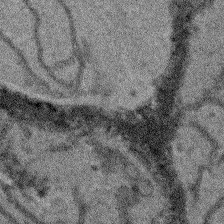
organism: Arabidopsis thaliana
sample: Root tip